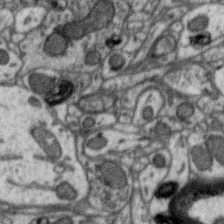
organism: Zebra finch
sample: Brain